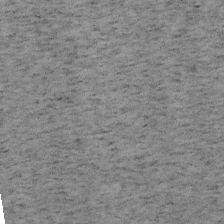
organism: Mouse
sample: OT-I killer T cells with ID8 ovarian cancer cells